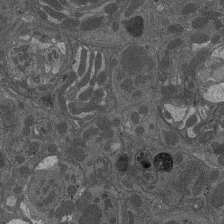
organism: Drosophila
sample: Antenna